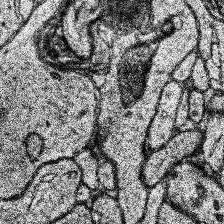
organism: Human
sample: Temporal Lobe